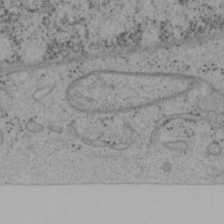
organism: Human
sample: HeLa cells